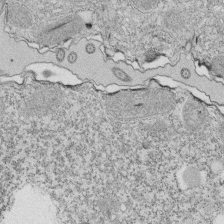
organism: Tetrahymena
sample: Cilia in tetrahymena